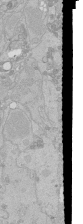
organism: Human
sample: Caco-2 cells